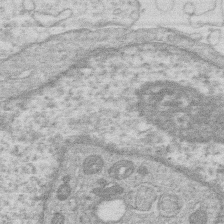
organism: Human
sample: Macrophage cells